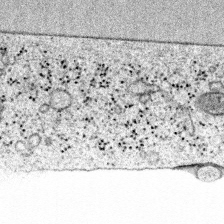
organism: Human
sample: HeLa cells